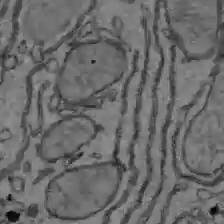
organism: C57BL Mouse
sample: Liver